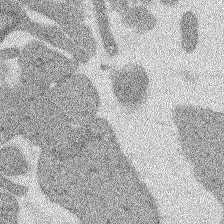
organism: Human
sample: HeLa cells